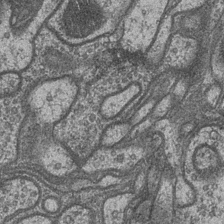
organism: Drosophila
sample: Optic medulla